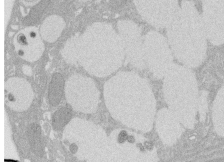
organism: Rat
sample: Salivary granule